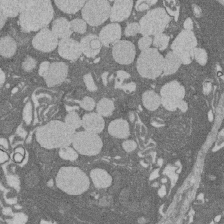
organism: Rat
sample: Salivary granule